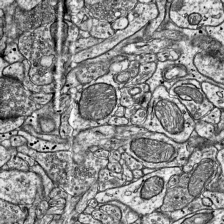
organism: Mouse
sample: Visual Cortex